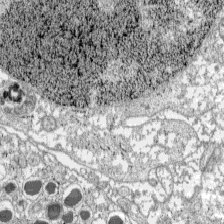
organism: C57BL Mouse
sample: Pancreatic islet